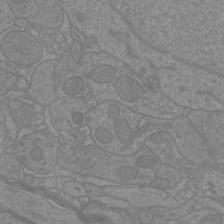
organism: Mouse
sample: Cortical neurons